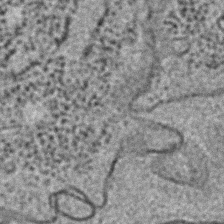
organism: C. elegans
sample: C. elegans embryo